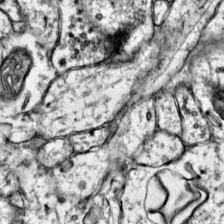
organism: Mouse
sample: Primary visual cortex